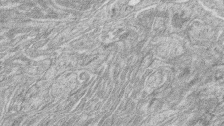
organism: Zebrafish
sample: synaptic ribbons in rod cells and cone cells